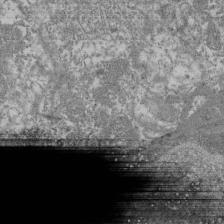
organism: Mouse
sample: Glomerulus